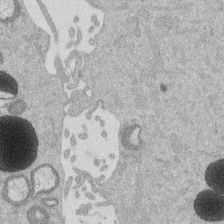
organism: Mouse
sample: Dividing mouse embryo 1 cell stage